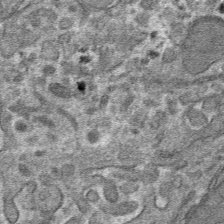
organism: Mouse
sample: Mouse hepatocytes